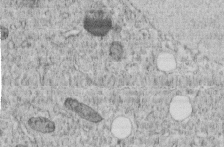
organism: C. elegans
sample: C. elegans embryo early stage